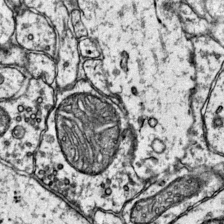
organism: Mouse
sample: Primary visual cortex